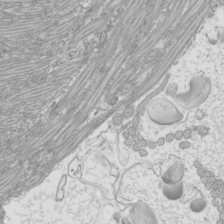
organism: Mouse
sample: Cilia; mouse epididymis